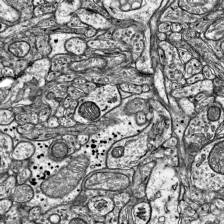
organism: Mouse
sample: Visual Cortex